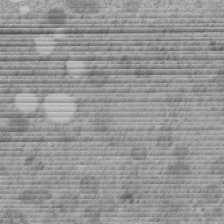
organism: C. elegans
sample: C. elegans embryo early stage